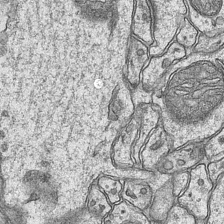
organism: Mouse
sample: CA1 Hippocampus